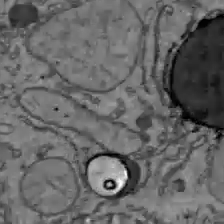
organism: C57BL Mouse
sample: Liver